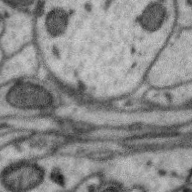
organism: Zebra finch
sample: Brain